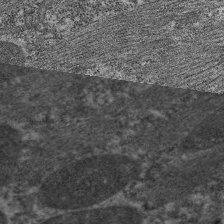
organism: C. elegans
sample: Pharynx